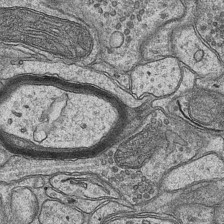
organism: Mouse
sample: CA1 Hippocampus